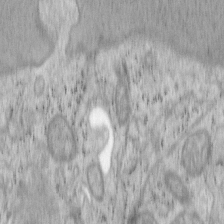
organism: Human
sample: HeLa cells